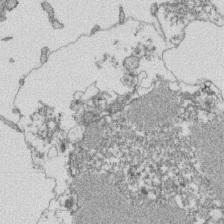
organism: Human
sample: HeLa cell HIV synapse